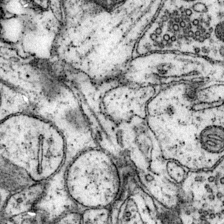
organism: Mouse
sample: Primary visual cortex